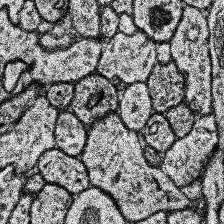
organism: Human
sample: Temporal Lobe